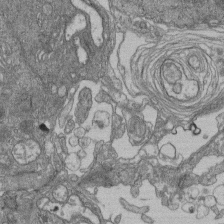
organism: Human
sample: Retinal organoid Rod and Cone cells